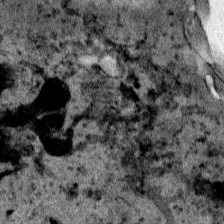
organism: Human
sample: Mitochondria in HCT116 cells